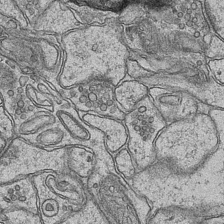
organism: Mouse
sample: CA1 Hippocampus